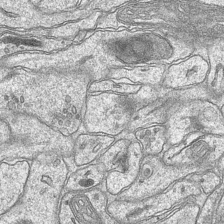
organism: Mouse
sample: CA1 Hippocampus